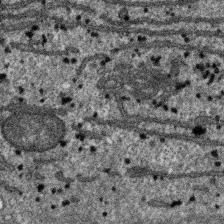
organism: Human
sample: Lung epithelial cells infected with SARS-CoV-2